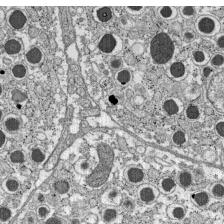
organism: C57BL Mouse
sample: Pancreatic islet